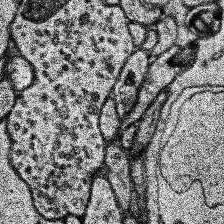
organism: Human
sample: Temporal Lobe